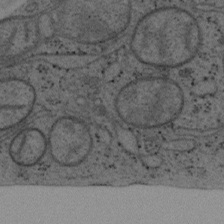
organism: Human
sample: HeLa cells